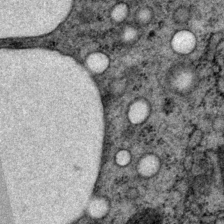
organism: P. pacificus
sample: Pharynx